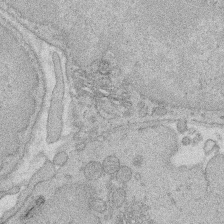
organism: Rat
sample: Salivary granule